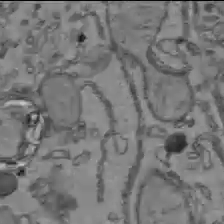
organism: C57BL Mouse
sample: Liver